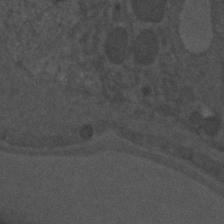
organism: C. elegans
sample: C. elegans embryo